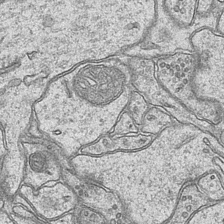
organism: Mouse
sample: CA1 Hippocampus